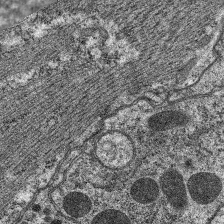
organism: C. elegans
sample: Pharynx